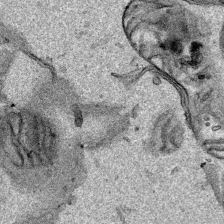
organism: Human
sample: Mitochondria in HCT116 cells